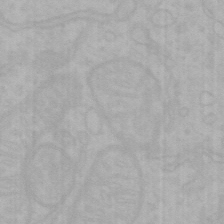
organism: Mouse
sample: Choroid plexus